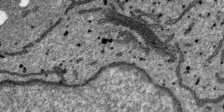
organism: Human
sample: Lung epithelial cells, uninfected (mock) control